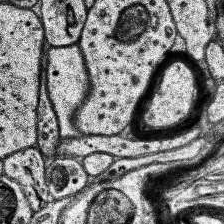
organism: Human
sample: Temporal Lobe